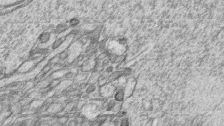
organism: Zebrafish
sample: synaptic ribbons in rod cells and cone cells